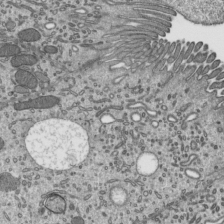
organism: Mouse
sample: Mouse epididymis efferent ductule cilia